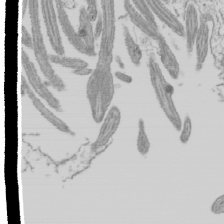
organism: Mouse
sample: Cilia; mouse epididymis